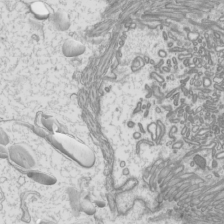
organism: Mouse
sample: Cilia; mouse epididymis